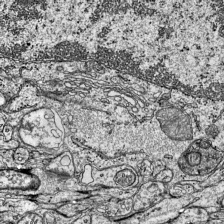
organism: Mouse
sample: Visual Cortex